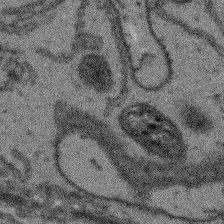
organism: Arabidopsis thaliana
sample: Root tip